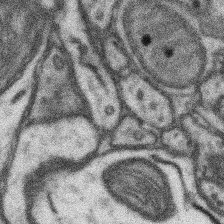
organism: Mouse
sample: Somatosensory cortex neuropil